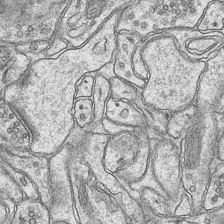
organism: Mouse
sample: CA1 Hippocampus